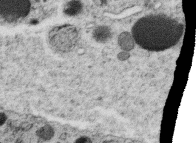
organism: C. elegans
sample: C. elegans oocyte; sperm cells